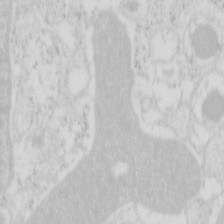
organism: Mouse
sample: Pancreas